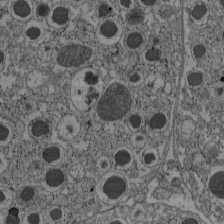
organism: C57BL Mouse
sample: Pancreatic islet